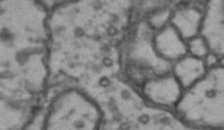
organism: Drosophila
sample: Brain